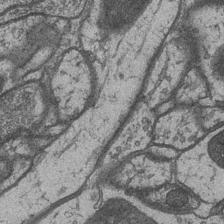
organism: Drosophila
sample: Optic medulla